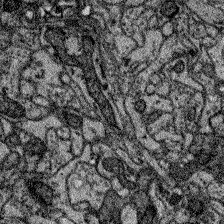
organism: Zebrafish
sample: Larval olfactory bulb